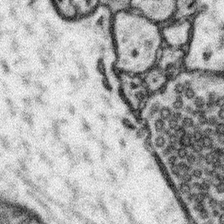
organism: Mouse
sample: Somatosensory cortex neuropil